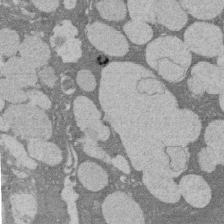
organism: Rat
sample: Salivary granule